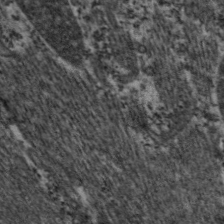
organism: C. elegans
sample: Pharynx